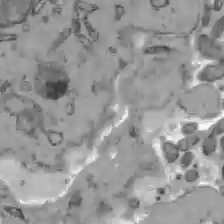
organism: C57BL Mouse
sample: Liver